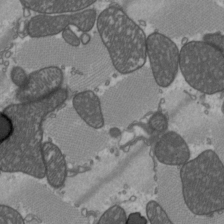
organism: C57BL Mouse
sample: Heart